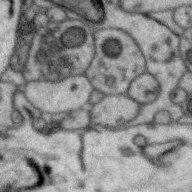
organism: Zebra finch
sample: Brain